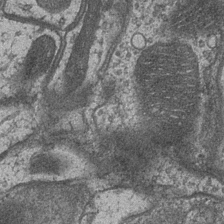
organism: Drosophila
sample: Optic medulla